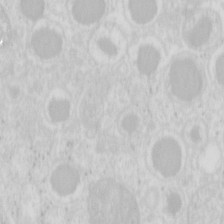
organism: Mouse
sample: Pancreas